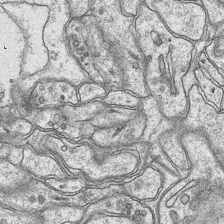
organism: Mouse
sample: CA1 Hippocampus